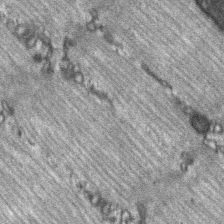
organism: C57BL Mouse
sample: Soleus